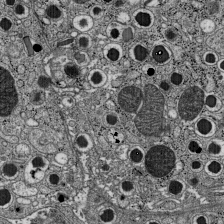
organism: C57BL Mouse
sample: Pancreatic islet